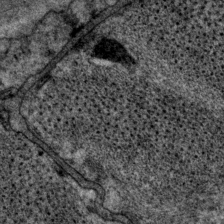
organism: P. pacificus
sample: Pharynx